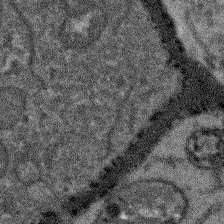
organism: Arabidopsis thaliana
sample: Root tip